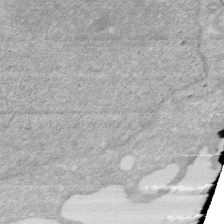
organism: Human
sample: HIV infected U937 cells